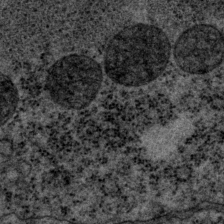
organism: P. pacificus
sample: Pharynx